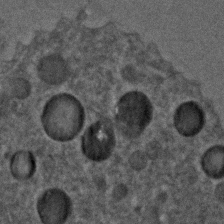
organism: C. elegans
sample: C. elegans embryo